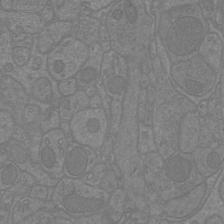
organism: Mouse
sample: Cortical neurons